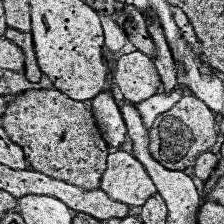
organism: Human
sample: Temporal Lobe